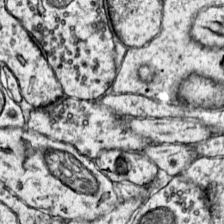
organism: Mouse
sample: Primary visual cortex